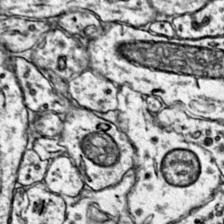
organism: Mouse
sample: Primary visual cortex